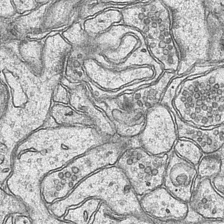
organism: Mouse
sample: CA1 Hippocampus